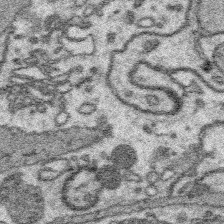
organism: Platynereis dumerilii